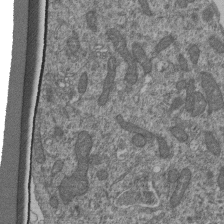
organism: Human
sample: Retinal organoid Rod and Cone cells